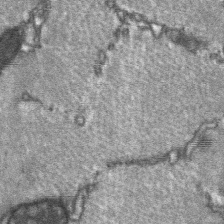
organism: C57BL Mouse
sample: Soleus